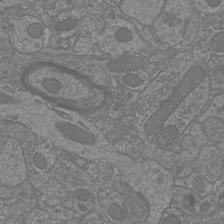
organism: Mouse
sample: Cortical neurons